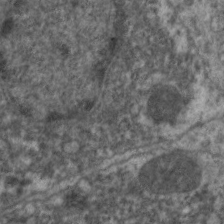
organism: C. elegans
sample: Pharynx